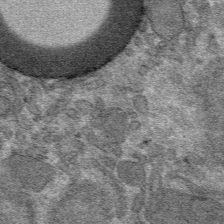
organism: Mouse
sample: Mouse hepatocytes